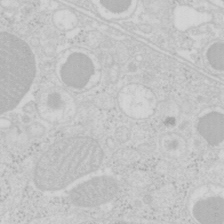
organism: Mouse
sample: Pancreas